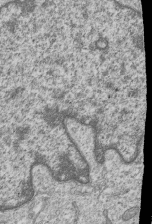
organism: Human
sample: MDA-MB-231 cells